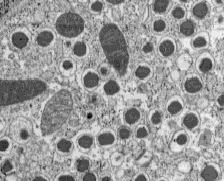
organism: C57BL Mouse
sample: Pancreatic islet